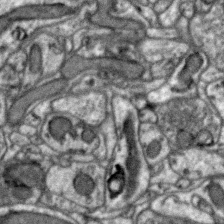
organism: Zebra finch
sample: Brain